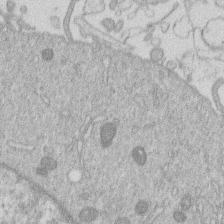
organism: Human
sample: Macrophage cells